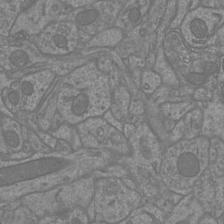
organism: Mouse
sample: Cortical neurons